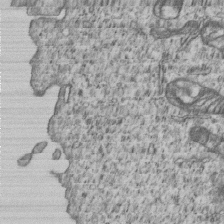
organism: Human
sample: MDA-MB-231 cells